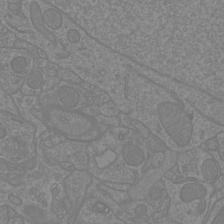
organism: Mouse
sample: Cortical neurons